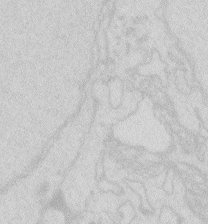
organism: Zebrafish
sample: Macrophage